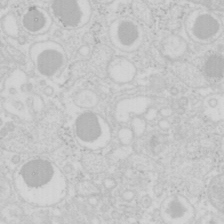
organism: Mouse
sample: Pancreas